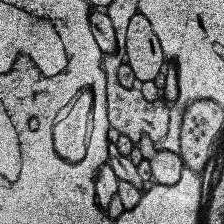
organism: Human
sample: Temporal Lobe